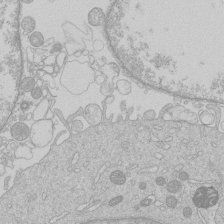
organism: Human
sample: Macrophage cells